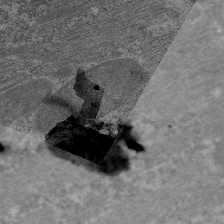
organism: C. elegans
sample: Pharynx